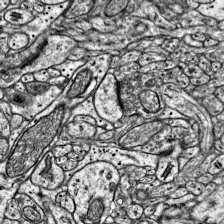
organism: Mouse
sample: Visual Cortex